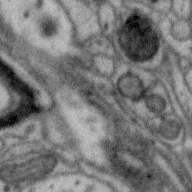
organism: Zebra finch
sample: Brain